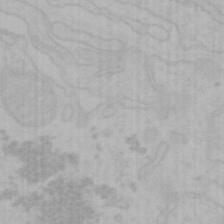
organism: Mouse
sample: Choroid plexus